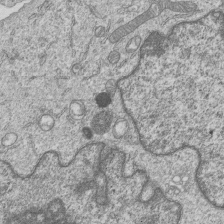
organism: Human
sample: MDA-MB-231 cells